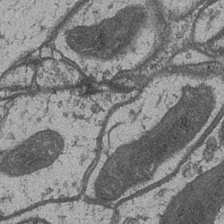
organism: Drosophila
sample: Optic medulla